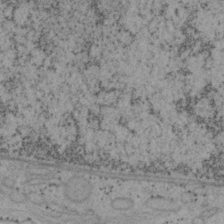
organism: Human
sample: HeLa cells